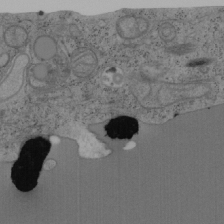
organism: Human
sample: HeLa cells